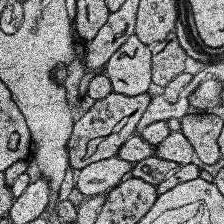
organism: Human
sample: Temporal Lobe